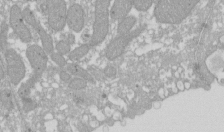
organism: Xenopus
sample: Cilia; centrioles in frog embryo cells